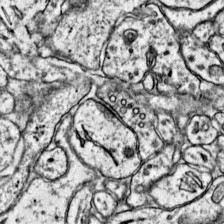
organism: Mouse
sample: Primary visual cortex